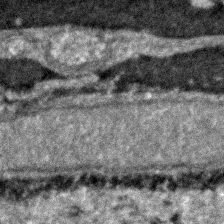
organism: Zebrafish